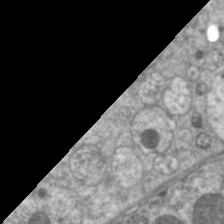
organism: C. elegans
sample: Pharynx